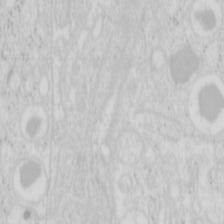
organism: Mouse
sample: Pancreas